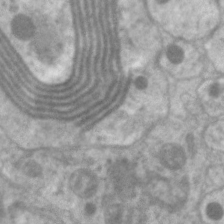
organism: C. elegans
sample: Pharynx